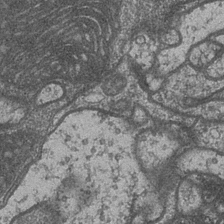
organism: Drosophila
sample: Optic medulla